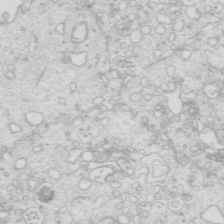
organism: Mouse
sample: Multiciliated cells